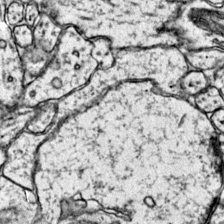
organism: Mouse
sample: Primary visual cortex